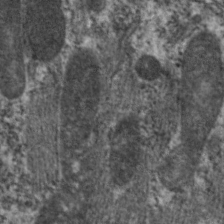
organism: C. elegans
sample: Pharynx